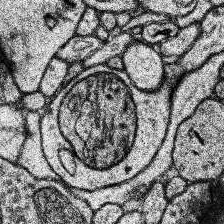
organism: Human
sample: Temporal Lobe